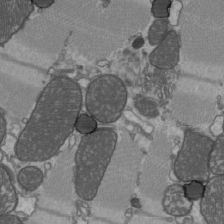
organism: C57BL Mouse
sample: Heart